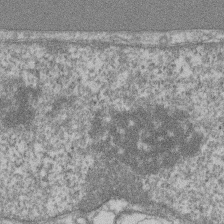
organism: Mouse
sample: T cell stromal cell synapse